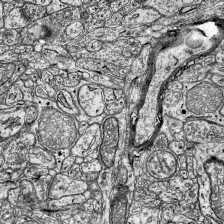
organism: Mouse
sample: Visual Cortex